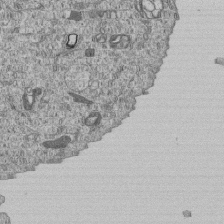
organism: Human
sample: MDA-MB-231 cells